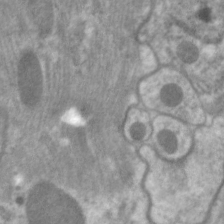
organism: C. elegans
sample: Pharynx